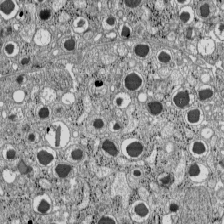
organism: C57BL Mouse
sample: Pancreatic islet